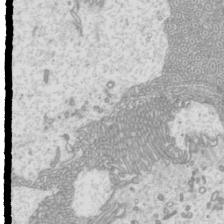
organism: Mouse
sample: Cilia; mouse epididymis